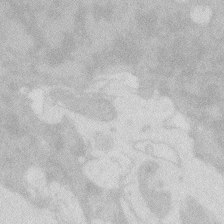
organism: Zebrafish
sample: Macrophage